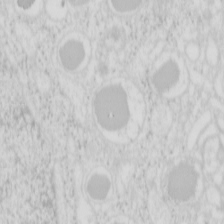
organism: Mouse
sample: Pancreas